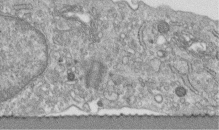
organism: Human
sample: Centriole in fibroblast cells